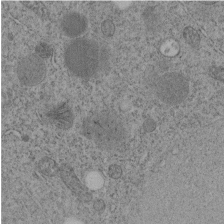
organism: C. elegans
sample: C. elegans embryo early stage